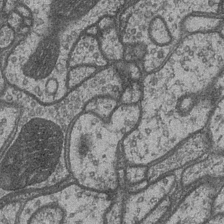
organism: Drosophila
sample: Optic medulla